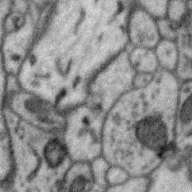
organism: Zebra finch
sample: Brain